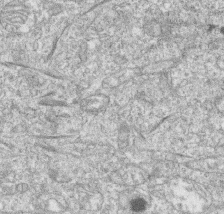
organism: Human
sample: HeLa cell HIV synapse